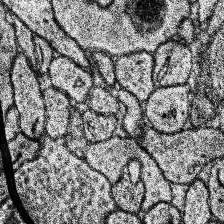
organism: Human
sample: Temporal Lobe